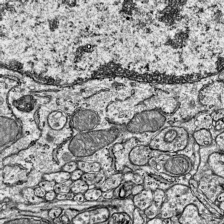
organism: Mouse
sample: Visual Cortex